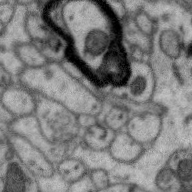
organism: Zebra finch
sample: Brain